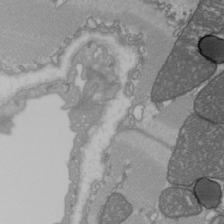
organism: C57BL Mouse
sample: Heart